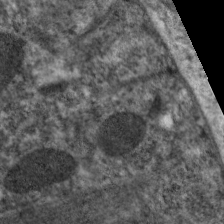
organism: C. elegans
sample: Pharynx